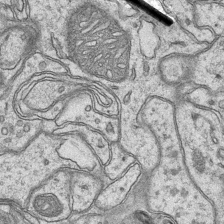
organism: Mouse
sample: CA1 Hippocampus